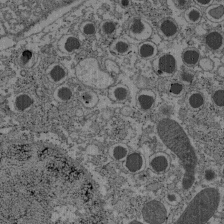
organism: C57BL Mouse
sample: Pancreatic islet